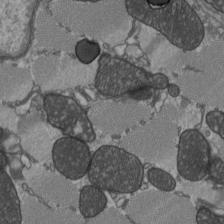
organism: C57BL Mouse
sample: Heart